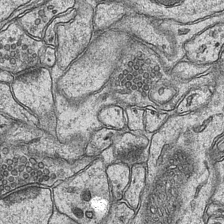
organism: Mouse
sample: CA1 Hippocampus